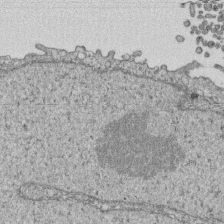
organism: Human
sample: HeLa cell HIV synapse